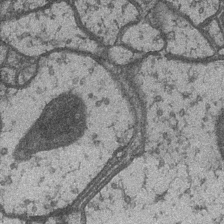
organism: Drosophila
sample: Optic medulla